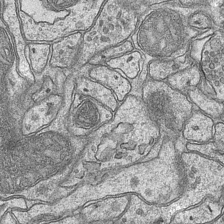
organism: Mouse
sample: CA1 Hippocampus